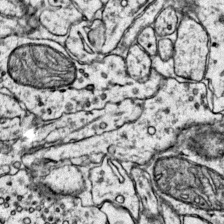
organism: Mouse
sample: Primary visual cortex